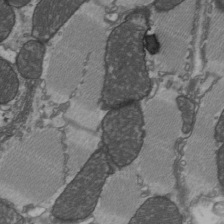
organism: C57BL Mouse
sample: Heart